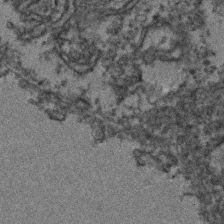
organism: Zebrafish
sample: Zebrafish embryo